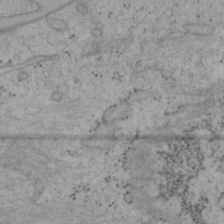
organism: Human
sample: HeLa cells